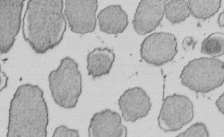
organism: E. coli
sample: Bacterial nucleoid